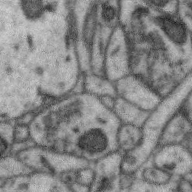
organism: Zebra finch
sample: Brain